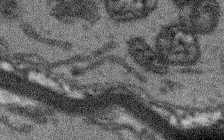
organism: Arabidopsis thaliana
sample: Root tip